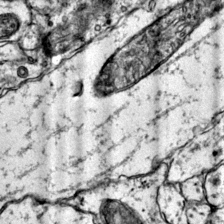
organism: Mouse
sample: Primary visual cortex